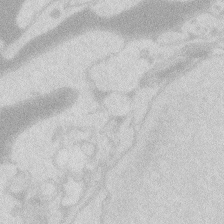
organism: Zebrafish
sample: Macrophage